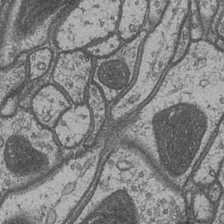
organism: Drosophila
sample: Optic medulla